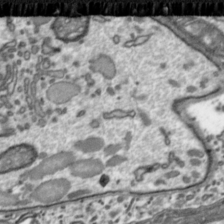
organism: Toxoplasma gondii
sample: Parasites in a vacuole inside a host cell